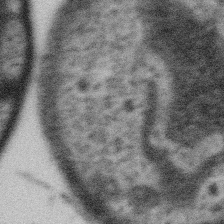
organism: Gemmata obscuriglobus